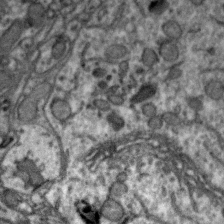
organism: Zebra finch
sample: Brain